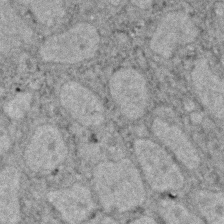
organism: Zebrafish